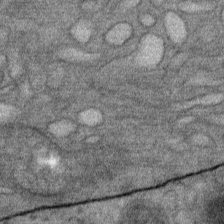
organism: Mouse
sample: Mouse Salivary gland